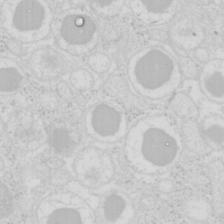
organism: Mouse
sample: Pancreas